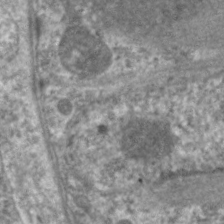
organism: C. elegans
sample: Pharynx